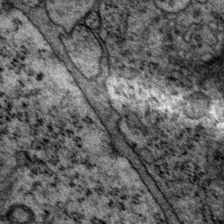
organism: P. pacificus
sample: Pharynx